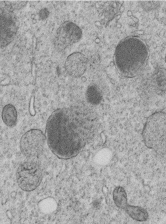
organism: C. elegans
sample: C. elegans embryo early stage